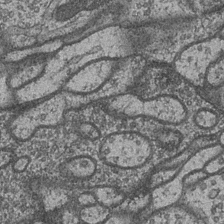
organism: Drosophila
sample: Optic medulla